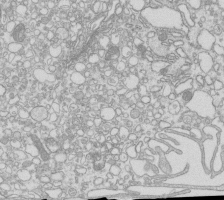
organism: Mouse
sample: Macrophages